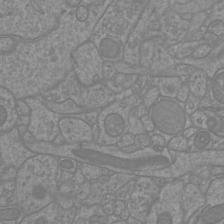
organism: Mouse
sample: Cortical neurons